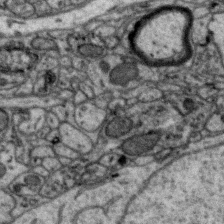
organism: Zebra finch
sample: Brain